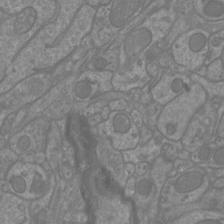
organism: Mouse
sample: Cortical neurons